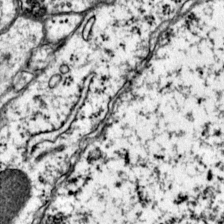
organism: Mouse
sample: Primary visual cortex